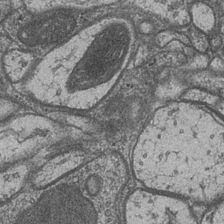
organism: Drosophila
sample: Optic medulla